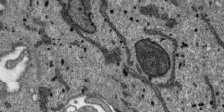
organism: Human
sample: Lung epithelial cells, uninfected (mock) control